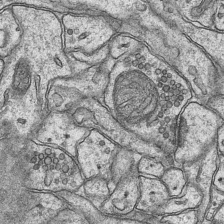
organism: Mouse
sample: CA1 Hippocampus